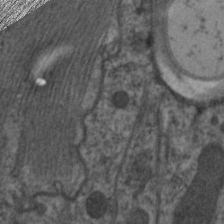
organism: C. elegans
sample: Pharynx